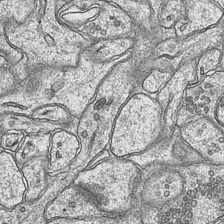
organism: Mouse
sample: CA1 Hippocampus